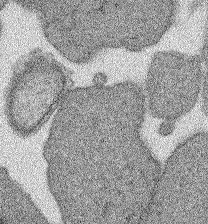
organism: Human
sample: HeLa cells